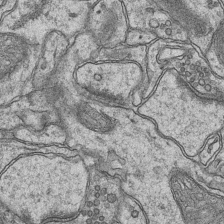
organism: Mouse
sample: CA1 Hippocampus